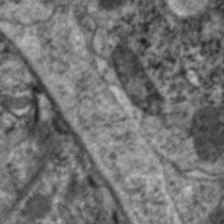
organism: C. elegans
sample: Pharynx